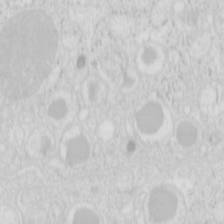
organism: Mouse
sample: Pancreas